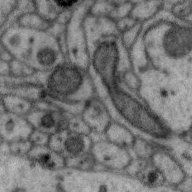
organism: Zebra finch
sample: Brain